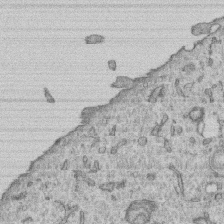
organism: Human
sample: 1205lu cells